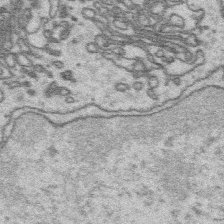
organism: Platynereis dumerilii